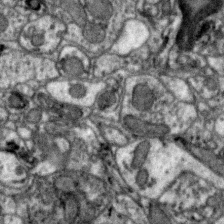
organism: Zebra finch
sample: Brain